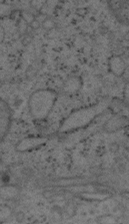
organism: Human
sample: HeLa cells